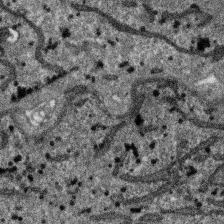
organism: Human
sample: Lung epithelial cells infected with SARS-CoV-2